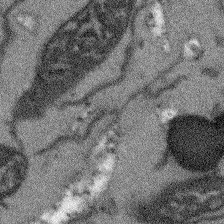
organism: Arabidopsis thaliana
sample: Root tip